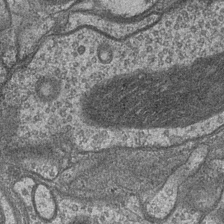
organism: Drosophila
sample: Optic medulla